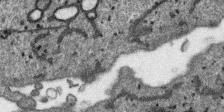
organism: Human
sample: Lung epithelial cells infected with SARS-CoV-2